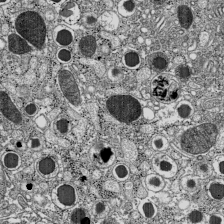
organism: C57BL Mouse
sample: Pancreatic islet